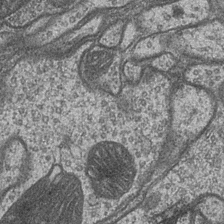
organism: Drosophila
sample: Optic medulla